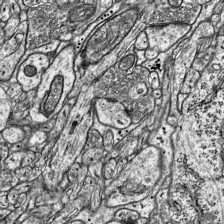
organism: Mouse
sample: Visual Cortex